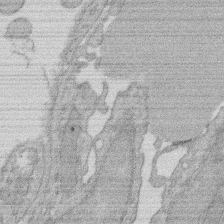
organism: Rat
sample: Salivary granule